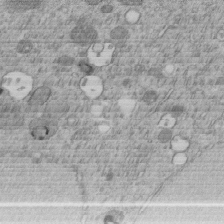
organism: C. elegans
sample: C. elegans embryo early stage